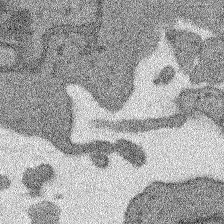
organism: Human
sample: HeLa cells